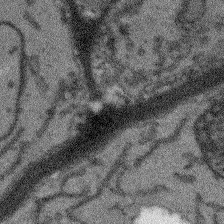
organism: Arabidopsis thaliana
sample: Root tip